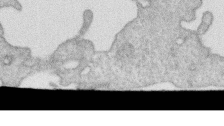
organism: Human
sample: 1205lu cells